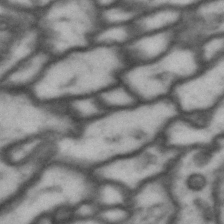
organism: Drosophila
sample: Brain